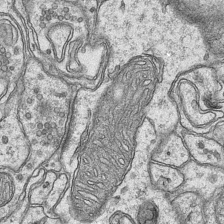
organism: Mouse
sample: CA1 Hippocampus